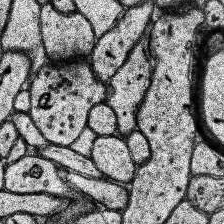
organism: Human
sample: Temporal Lobe